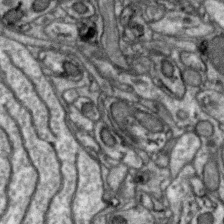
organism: Zebra finch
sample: Brain